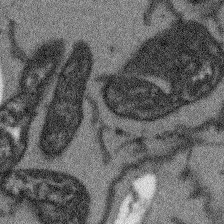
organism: Arabidopsis thaliana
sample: Root tip